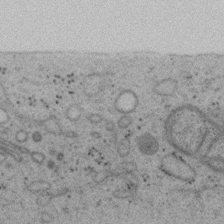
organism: Human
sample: HeLa cells